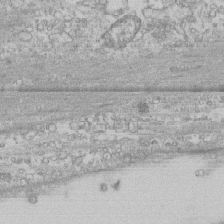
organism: Human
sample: CRL-1474